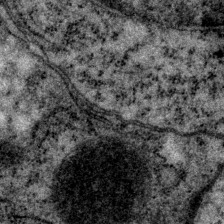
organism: P. pacificus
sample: Pharynx